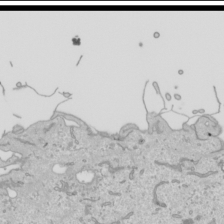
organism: Human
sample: Mitochondria in HCT116 cells